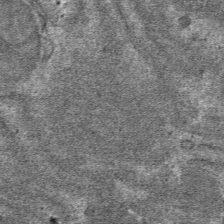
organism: Mouse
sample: Mouse hepatocytes